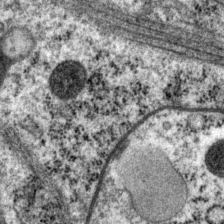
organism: P. pacificus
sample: Pharynx